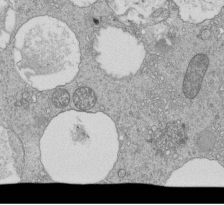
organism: Tetrahymena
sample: Cilia in tetrahymena